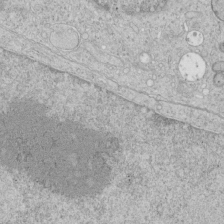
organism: Human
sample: Mitochondria in HCT116 cells